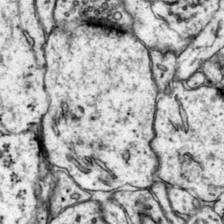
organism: Mouse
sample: Primary visual cortex